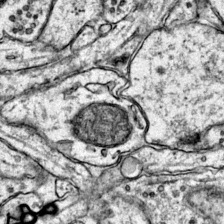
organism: Mouse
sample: Primary visual cortex